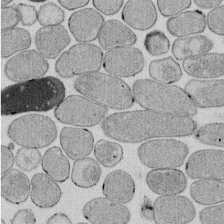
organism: E. coli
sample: Bacterial nucleoid